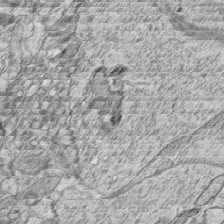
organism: Zebrafish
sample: synaptic ribbons in rod cells and cone cells